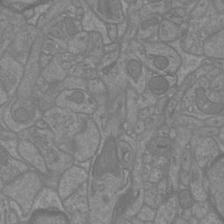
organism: Mouse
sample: Cortical neurons